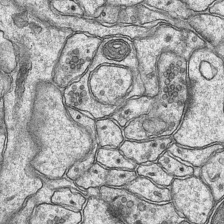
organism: Mouse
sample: CA1 Hippocampus